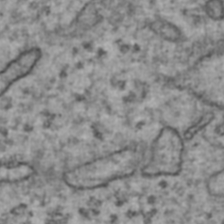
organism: Human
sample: Blood